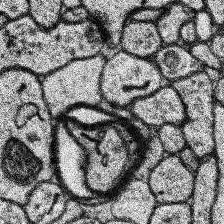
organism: Human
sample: Temporal Lobe